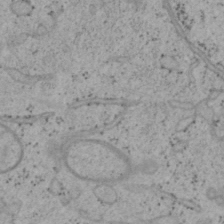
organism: Human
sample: HeLa cells